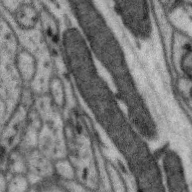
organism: Zebra finch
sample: Brain